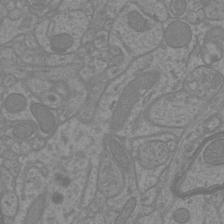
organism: Mouse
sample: Cortical neurons